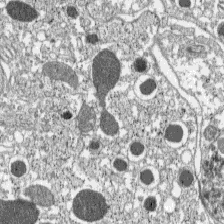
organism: C57BL Mouse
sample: Pancreatic islet